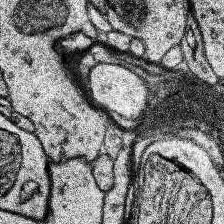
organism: Human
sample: Temporal Lobe